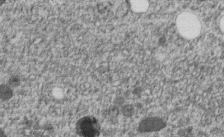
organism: C. elegans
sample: C. elegans embryo early stage